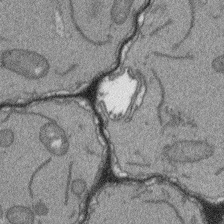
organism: Arabidopsis thaliana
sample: Root tip